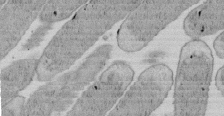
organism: E. coli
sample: Bacterial nucleoid